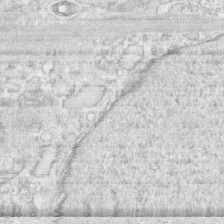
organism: Human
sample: CRL-1474